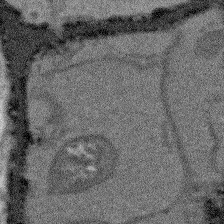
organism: Arabidopsis thaliana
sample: Root tip